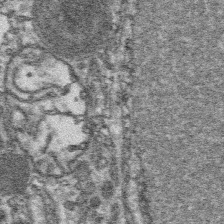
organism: Platynereis dumerilii